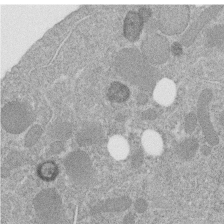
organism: C. elegans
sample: C. elegans embryo early stage